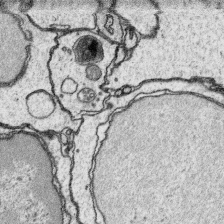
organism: Platynereis dumerilii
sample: Parapodia